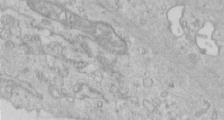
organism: Human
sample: Centriole in RPE cells